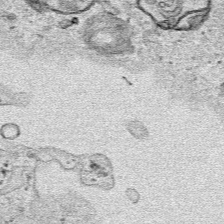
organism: Human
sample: Mitochondria in HCT116 cells